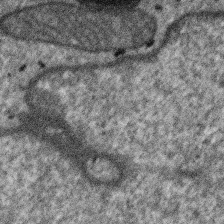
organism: Human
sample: Lung epithelial cells infected with SARS-CoV-2